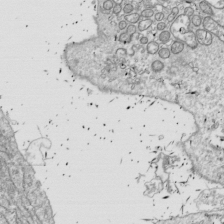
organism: Drosophila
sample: Cell division; meiosis; drosophila spermatocytes